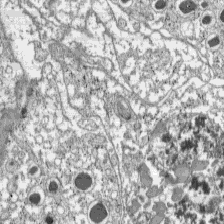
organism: C57BL Mouse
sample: Pancreatic islet